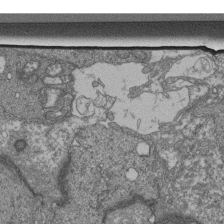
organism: Human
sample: Retinal organoid Rod and Cone cells